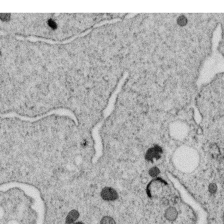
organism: C. elegans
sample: C. elegans oocyte; sperm cells